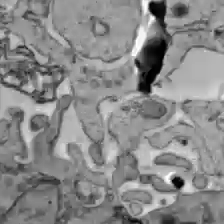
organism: C57BL Mouse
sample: Liver